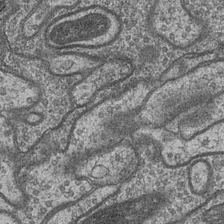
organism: Drosophila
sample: Optic medulla